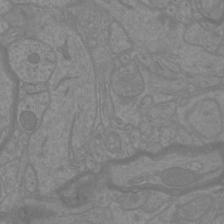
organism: Mouse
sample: Cortical neurons